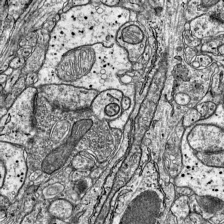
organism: Mouse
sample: Visual Cortex